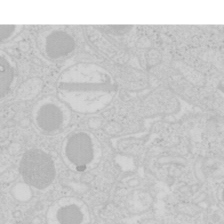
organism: Mouse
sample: Pancreas